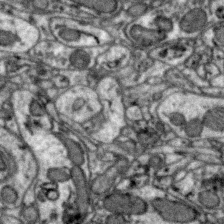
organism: Zebra finch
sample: Brain